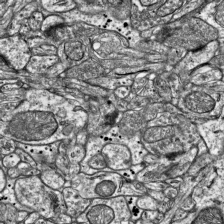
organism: Mouse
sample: Visual Cortex